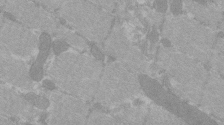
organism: C57BL Mouse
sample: Tibialis anterior muscle cell